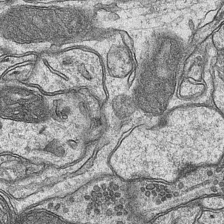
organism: Mouse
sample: CA1 Hippocampus